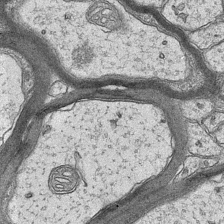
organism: Mouse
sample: CA1 Hippocampus